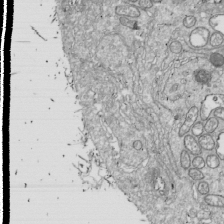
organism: Drosophila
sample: Cell division; meiosis; drosophila spermatocytes